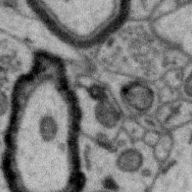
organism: Zebra finch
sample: Brain